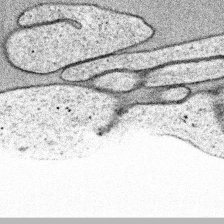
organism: Human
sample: HeLa cells